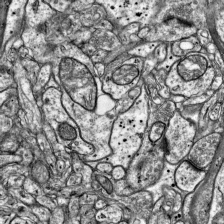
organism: Mouse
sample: Visual Cortex